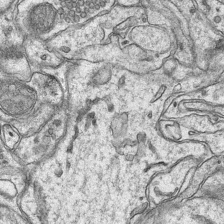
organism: Mouse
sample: CA1 Hippocampus